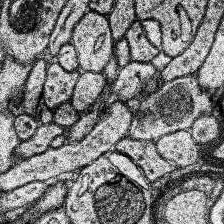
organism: Human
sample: Temporal Lobe